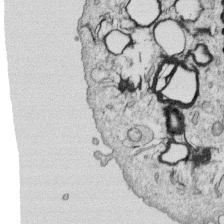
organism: Human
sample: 1205lu cells